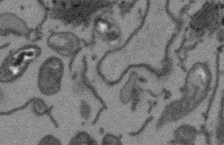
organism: Arabidopsis thaliana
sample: Root tip